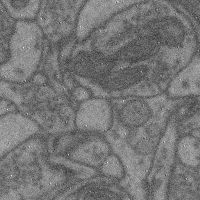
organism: Mouse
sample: Cerebral cortex